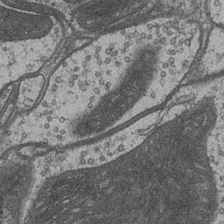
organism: Drosophila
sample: Optic medulla